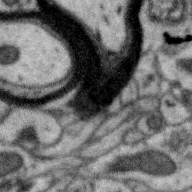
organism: Zebra finch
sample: Brain